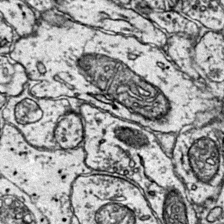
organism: Mouse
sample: Primary visual cortex